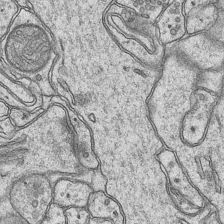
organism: Mouse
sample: CA1 Hippocampus